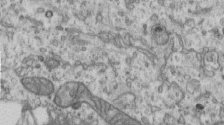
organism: Human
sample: Centriole in RPE cells